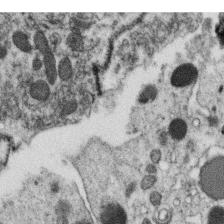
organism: C. elegans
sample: C. elegans oocyte; sperm cells